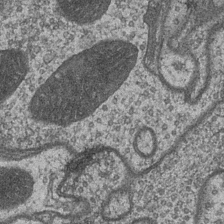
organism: Drosophila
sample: Optic medulla